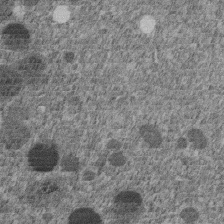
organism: C. elegans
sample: C. elegans embryo early stage